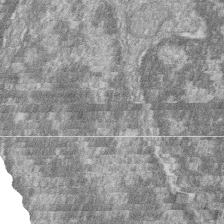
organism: Zebrafish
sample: Cilia; retinal pigment epithelium